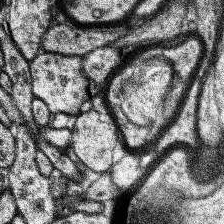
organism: Human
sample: Temporal Lobe